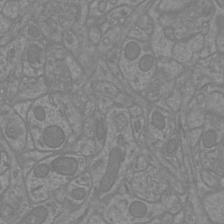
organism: Mouse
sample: Cortical neurons